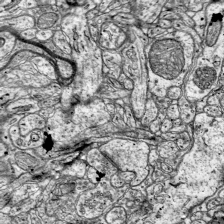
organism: Mouse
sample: Visual Cortex